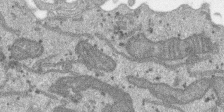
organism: Human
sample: Lung epithelial cells infected with SARS-CoV-2